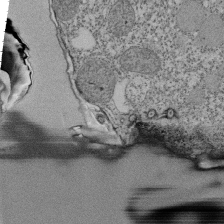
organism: Tetrahymena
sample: Cilia in tetrahymena